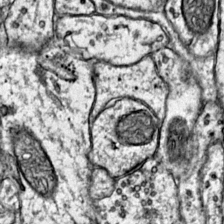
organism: Mouse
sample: Primary visual cortex